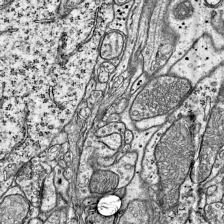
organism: Mouse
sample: Visual Cortex